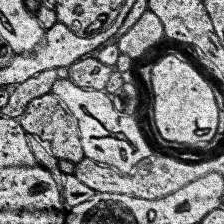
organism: Human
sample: Temporal Lobe